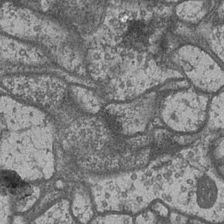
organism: Drosophila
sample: Optic medulla